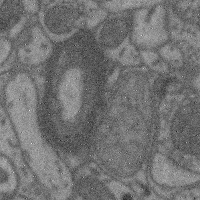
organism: Mouse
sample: Cerebral cortex